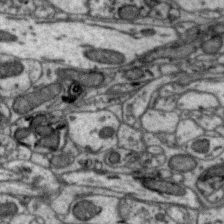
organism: Zebra finch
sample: Brain